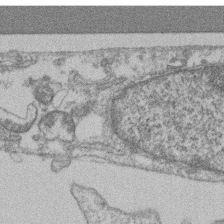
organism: Mouse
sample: T cell stromal cell synapse